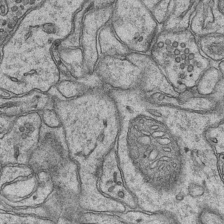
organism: Mouse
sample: CA1 Hippocampus